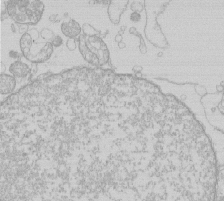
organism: Human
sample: Macrophage cells